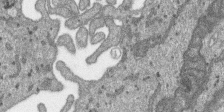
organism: Human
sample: Lung epithelial cells infected with SARS-CoV-2